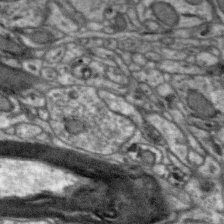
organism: Zebra finch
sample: Brain